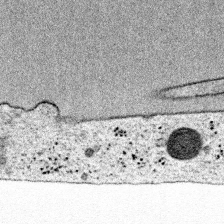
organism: Human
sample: HeLa cells